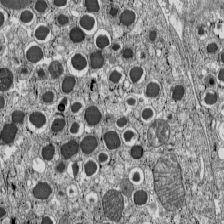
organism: C57BL Mouse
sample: Pancreatic islet